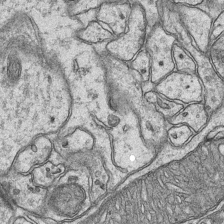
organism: Mouse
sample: CA1 Hippocampus